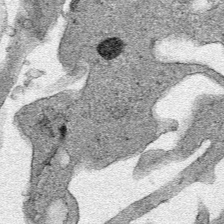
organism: Human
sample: Mitochondria in HCT116 cells